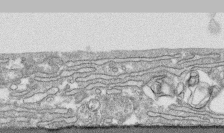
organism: Human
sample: CRL-1474